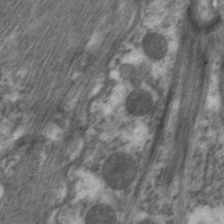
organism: C. elegans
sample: Pharynx